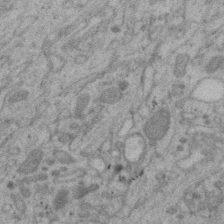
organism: Human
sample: HeLa cells